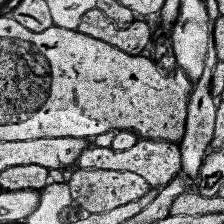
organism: Human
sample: Temporal Lobe